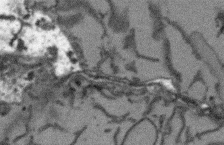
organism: Arabidopsis thaliana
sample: Root tip